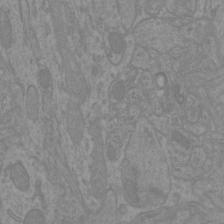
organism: Mouse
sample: Cortical neurons